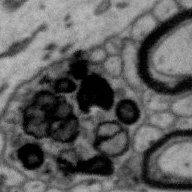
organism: Zebra finch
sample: Brain